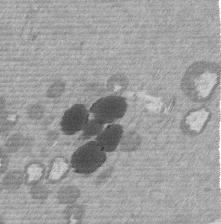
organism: Mouse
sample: Dividing mouse embryo 1 cell stage